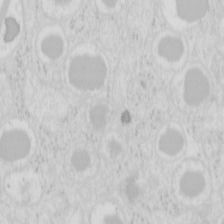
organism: Mouse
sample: Pancreas